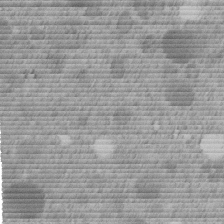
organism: C. elegans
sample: C. elegans embryo early stage